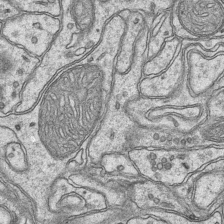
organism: Mouse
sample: CA1 Hippocampus